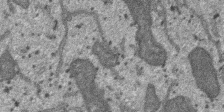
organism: Human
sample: Lung epithelial cells infected with SARS-CoV-2